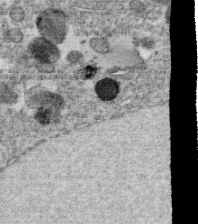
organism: C. elegans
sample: C. elegans oocyte; sperm cells